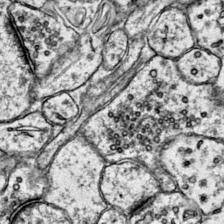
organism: Mouse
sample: Primary visual cortex